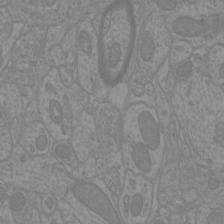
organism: Mouse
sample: Cortical neurons